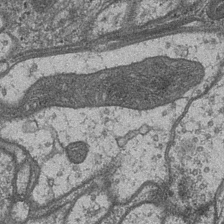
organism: Drosophila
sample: Optic medulla